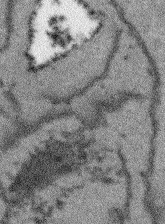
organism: Arabidopsis thaliana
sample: Root tip